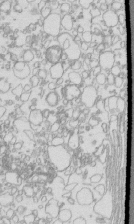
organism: Mouse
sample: Macrophages